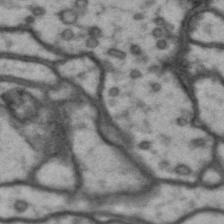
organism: Drosophila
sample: Brain